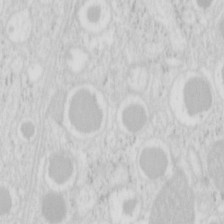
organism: Mouse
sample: Pancreas